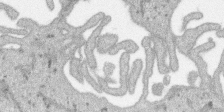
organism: Human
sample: Lung epithelial cells infected with SARS-CoV-2